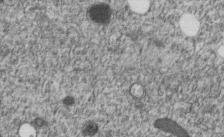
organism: C. elegans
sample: C. elegans embryo early stage